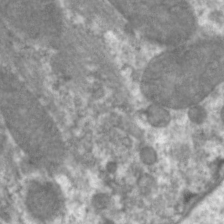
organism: C. elegans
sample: Pharynx